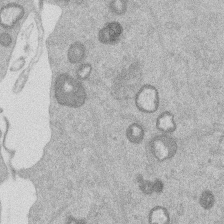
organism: Mouse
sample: Dividing mouse embryo 1 cell stage